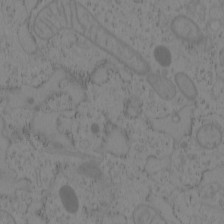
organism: Human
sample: HeLa cells